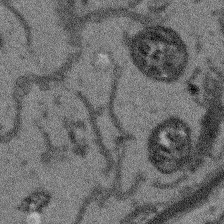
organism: Arabidopsis thaliana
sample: Root tip